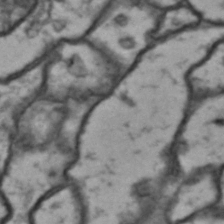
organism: Drosophila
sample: Brain